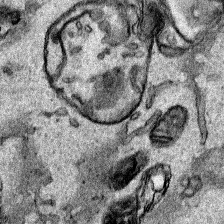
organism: Human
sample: Mitochondria in HCT116 cells